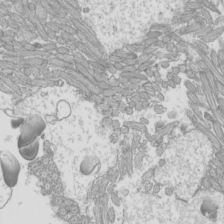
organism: Mouse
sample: Cilia; mouse epididymis